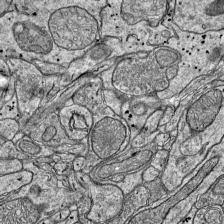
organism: Mouse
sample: Visual Cortex